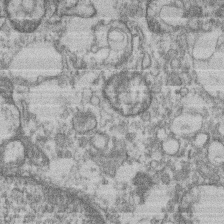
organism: Mouse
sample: T cell stromal cell synapse